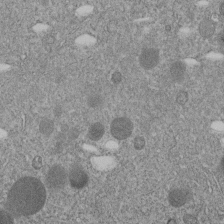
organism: C. elegans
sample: C. elegans embryo early stage